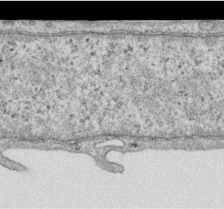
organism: Human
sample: Centriole in RPE cells